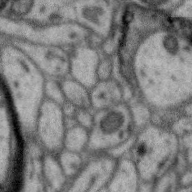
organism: Zebra finch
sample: Brain